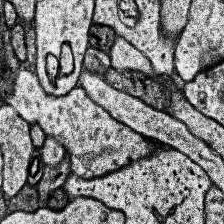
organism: Human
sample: Temporal Lobe